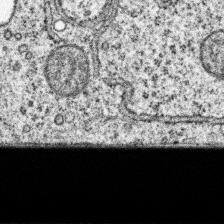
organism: Human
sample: HeLa cells